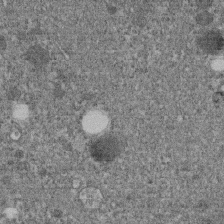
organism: C. elegans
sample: C. elegans embryo early stage